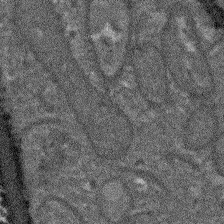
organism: Arabidopsis thaliana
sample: Root tip